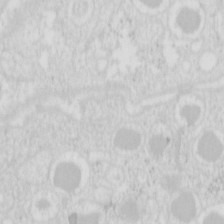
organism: Mouse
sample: Pancreas